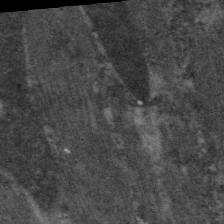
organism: C. elegans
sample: Pharynx